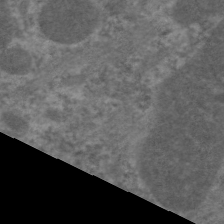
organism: C. elegans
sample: Pharynx